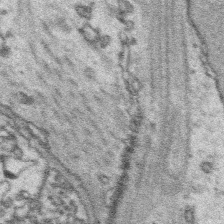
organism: Platynereis dumerilii